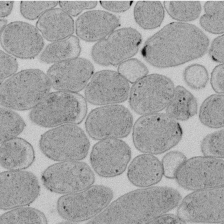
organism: E. coli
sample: Bacterial nucleoid